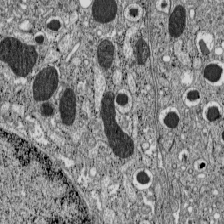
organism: C57BL Mouse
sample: Pancreatic islet